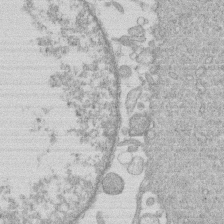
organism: Human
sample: Macrophage cells